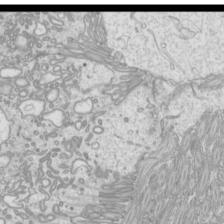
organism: Mouse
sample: Cilia; mouse epididymis